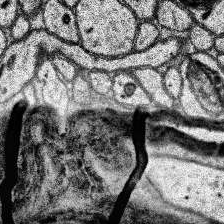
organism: Human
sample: Temporal Lobe